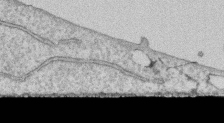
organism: Human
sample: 1205lu cells